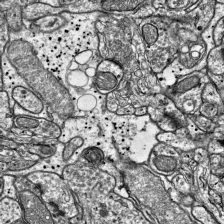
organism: Mouse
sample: Visual Cortex